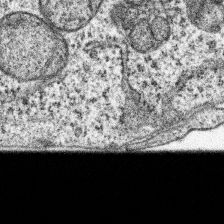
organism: Human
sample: HeLa cells